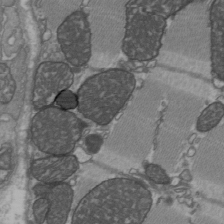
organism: C57BL Mouse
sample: Heart